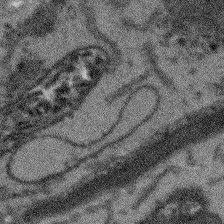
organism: Arabidopsis thaliana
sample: Root tip